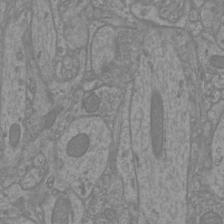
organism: Mouse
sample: Cortical neurons